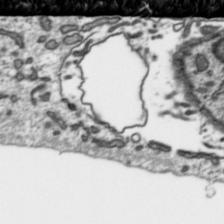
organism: Toxoplasma gondii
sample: Parasites in a vacuole inside a host cell